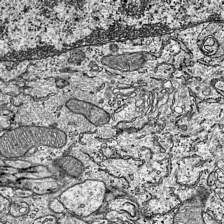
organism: Mouse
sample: Visual Cortex